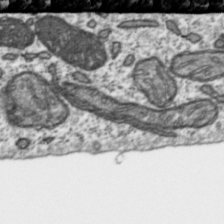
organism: Toxoplasma gondii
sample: Parasites in a vacuole inside a host cell